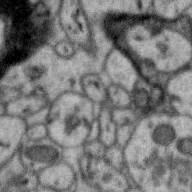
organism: Zebra finch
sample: Brain